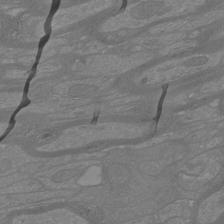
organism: Mouse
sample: Cortical neurons